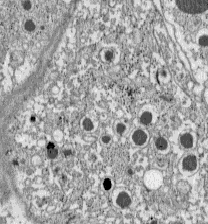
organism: C57BL Mouse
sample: Pancreatic islet